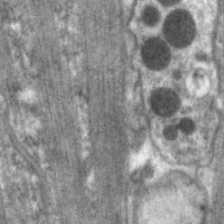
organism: C. elegans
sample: Pharynx